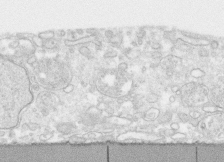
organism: Human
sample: CRL-1474